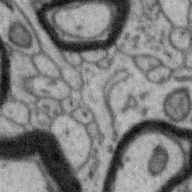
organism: Zebra finch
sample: Brain